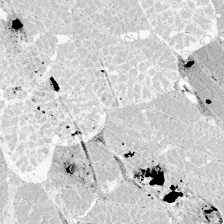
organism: Zebrafish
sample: Whole-Brain